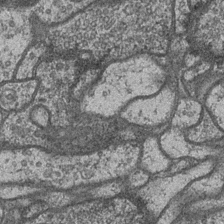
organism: Drosophila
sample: Optic medulla